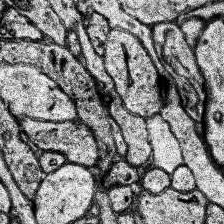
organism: Human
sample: Temporal Lobe